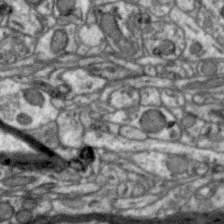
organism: Zebra finch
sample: Brain